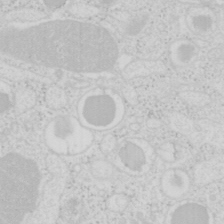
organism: Mouse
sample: Pancreas